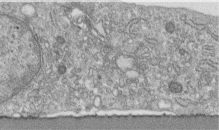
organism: Human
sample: Centriole in fibroblast cells